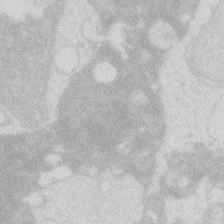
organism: Zebrafish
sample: Macrophage